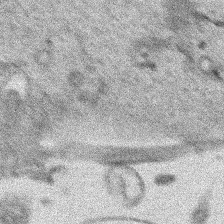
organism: Human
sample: Mitochondria in HCT116 cells